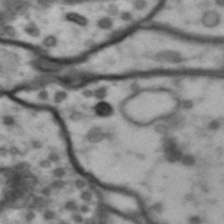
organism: Drosophila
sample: Brain